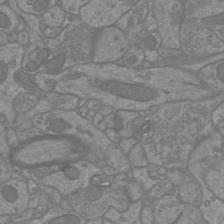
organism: Mouse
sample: Cortical neurons